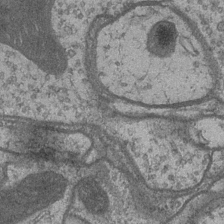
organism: Drosophila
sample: Optic medulla